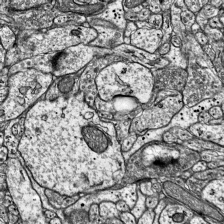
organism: Mouse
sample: Visual Cortex